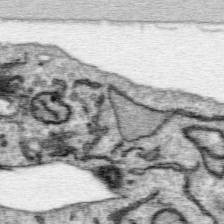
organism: Human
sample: HeLa cells